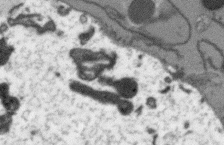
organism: Arabidopsis thaliana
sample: Root tip